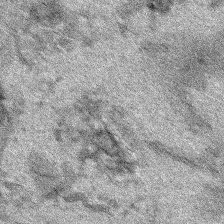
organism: Human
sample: Mitochondria in HCT116 cells